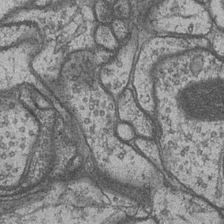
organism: Drosophila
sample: Optic medulla